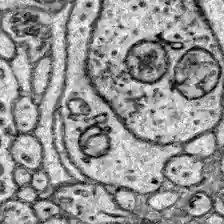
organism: Zebrafish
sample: Brain